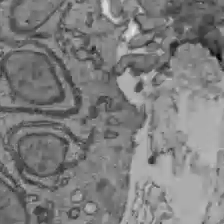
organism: C57BL Mouse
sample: Liver